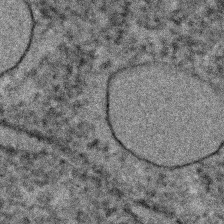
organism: C. elegans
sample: C. elegans embryo